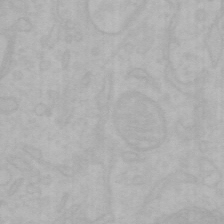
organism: Mouse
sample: Choroid plexus